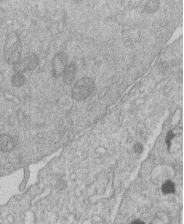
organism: Human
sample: Macrophage cells